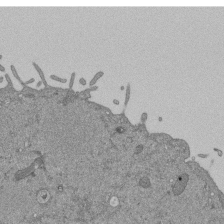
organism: Mouse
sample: ED-1 cell nuclei; centrioles